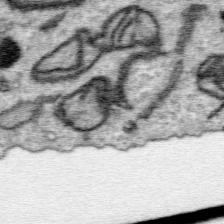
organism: Human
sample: HeLa cells